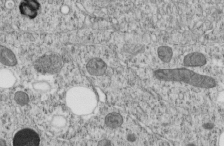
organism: C. elegans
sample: C. elegans embryo early stage